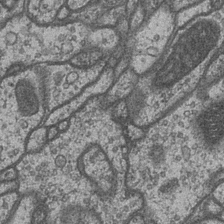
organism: Drosophila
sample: Optic medulla